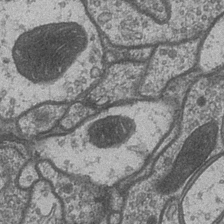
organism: Drosophila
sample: Optic medulla